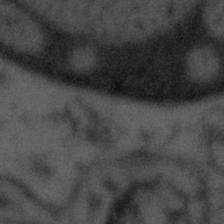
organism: Tuwongella immobilis